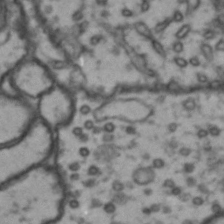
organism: Drosophila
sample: Brain